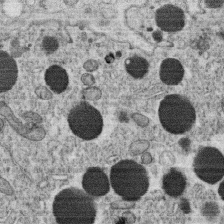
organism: C. elegans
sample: C. elegans oocyte; sperm cells